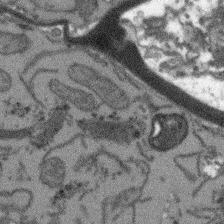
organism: Arabidopsis thaliana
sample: Root tip